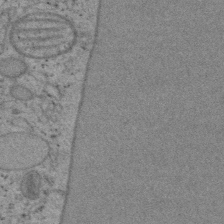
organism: Human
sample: HeLa cells